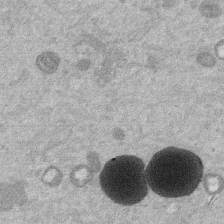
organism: Mouse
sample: Dividing mouse embryo 1 cell stage